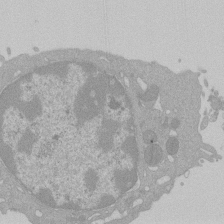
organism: Mouse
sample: Activated Pmel transgenic CD8+ T Cells